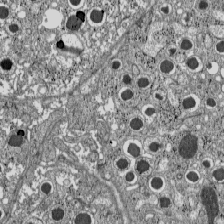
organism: C57BL Mouse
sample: Pancreatic islet